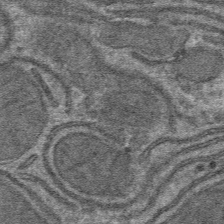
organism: Mouse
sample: Mouse hepatocytes